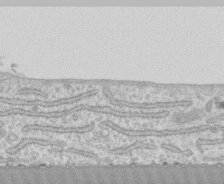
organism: Human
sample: CRL-1474